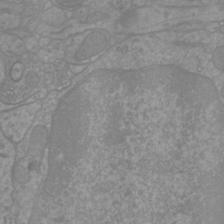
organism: Mouse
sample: Cortical neurons